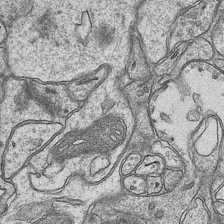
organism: Mouse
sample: CA1 Hippocampus